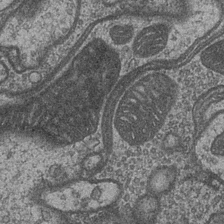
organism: Drosophila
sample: Optic medulla